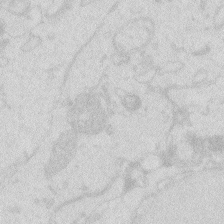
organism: Zebrafish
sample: Macrophage